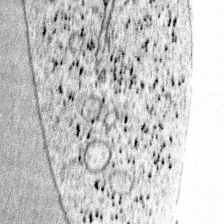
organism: Human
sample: HeLa cells